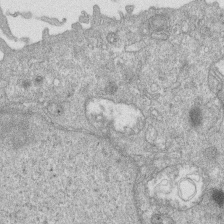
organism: Human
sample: HeLa cell HIV synapse